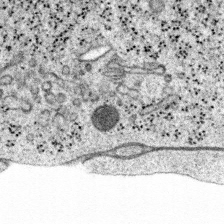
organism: Human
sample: HeLa cells